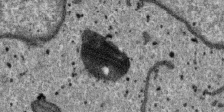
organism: Human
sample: Lung epithelial cells, uninfected (mock) control